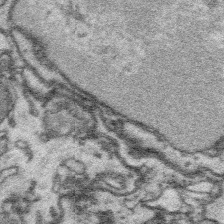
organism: Platynereis dumerilii